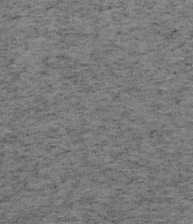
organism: Mouse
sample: OT-I killer T cells with ID8 ovarian cancer cells